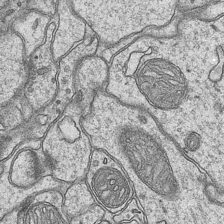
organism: Mouse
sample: CA1 Hippocampus